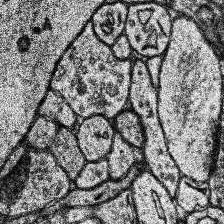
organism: Human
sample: Temporal Lobe